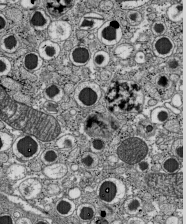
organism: C57BL Mouse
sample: Pancreatic islet